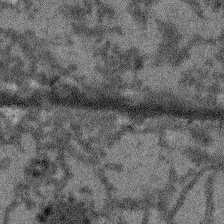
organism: Arabidopsis thaliana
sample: Root tip